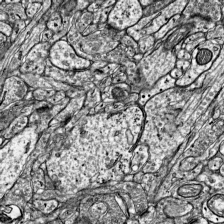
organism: Mouse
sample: Visual Cortex